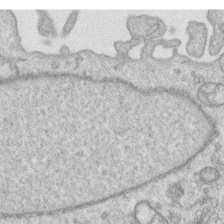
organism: Human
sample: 1205lu cells